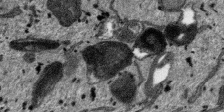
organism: Human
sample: Lung epithelial cells, uninfected (mock) control